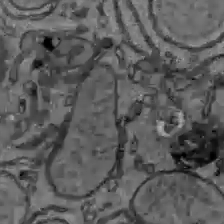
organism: C57BL Mouse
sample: Liver